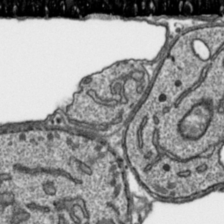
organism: Toxoplasma gondii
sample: Parasites in a vacuole inside a host cell